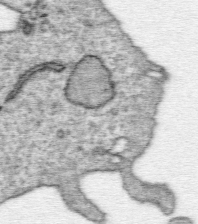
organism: Human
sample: HeLa cells